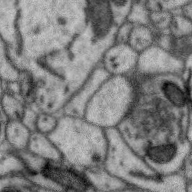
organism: Zebra finch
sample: Brain